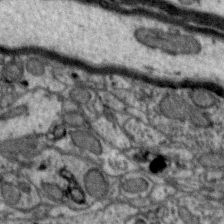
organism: Zebra finch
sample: Brain